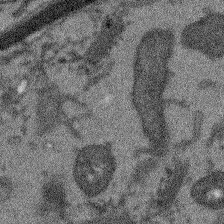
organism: Arabidopsis thaliana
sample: Root tip